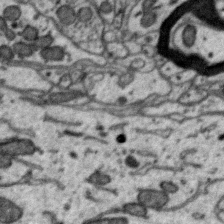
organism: Zebra finch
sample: Brain